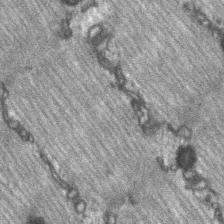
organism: C57BL Mouse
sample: Soleus